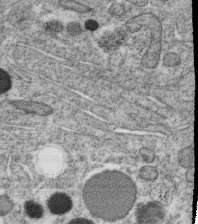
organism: C. elegans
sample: C. elegans oocyte; sperm cells